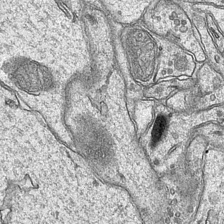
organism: Mouse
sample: CA1 Hippocampus